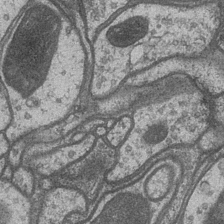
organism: Drosophila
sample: Optic medulla